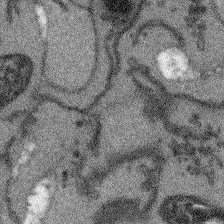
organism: Arabidopsis thaliana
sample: Root tip